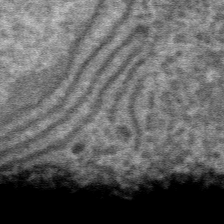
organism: Mouse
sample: Mouse hepatocytes